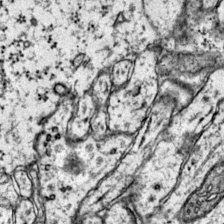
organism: Mouse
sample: Primary visual cortex